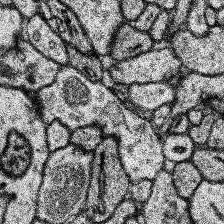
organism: Human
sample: Temporal Lobe